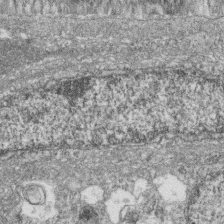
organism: Zebrafish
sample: Cilia; retinal pigment epithelium